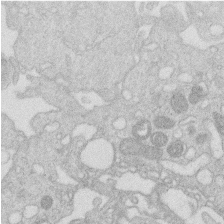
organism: Human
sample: Macrophage cells